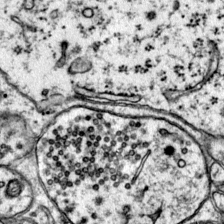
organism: Mouse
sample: Primary visual cortex